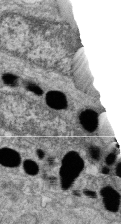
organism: Zebrafish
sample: Cilia; retinal pigment epithelium